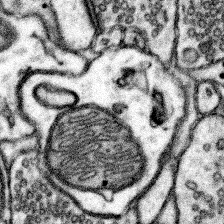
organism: Mouse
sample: Somatosensory cortex neuropil